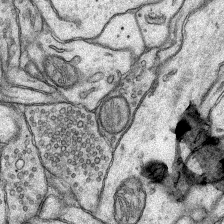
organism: Rat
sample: Hippocampus